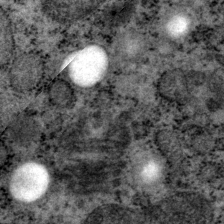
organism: P. pacificus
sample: Pharynx